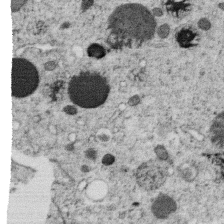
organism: C. elegans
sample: C. elegans oocyte; sperm cells